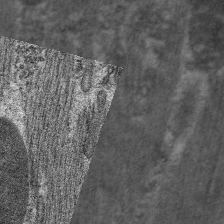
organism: C. elegans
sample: Pharynx